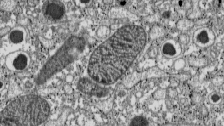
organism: C57BL Mouse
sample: Pancreatic islet